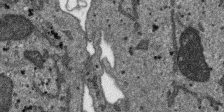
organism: Human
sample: Lung epithelial cells infected with SARS-CoV-2